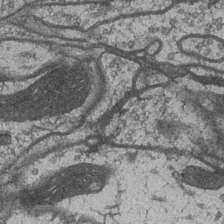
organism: Drosophila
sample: Optic medulla